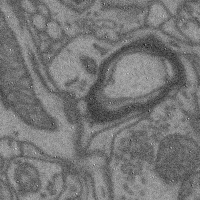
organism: Mouse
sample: Cerebral cortex